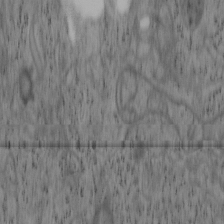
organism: Human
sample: HeLa cells